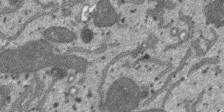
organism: Human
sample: Lung epithelial cells infected with SARS-CoV-2